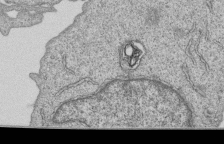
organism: Human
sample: MDA-MB-231 cells